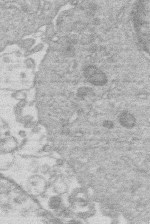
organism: Human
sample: Macrophage cells